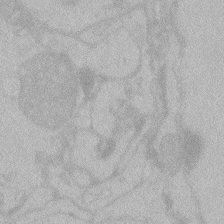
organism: Zebrafish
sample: Macrophage infected with Toxoplasma gondii